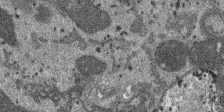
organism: Human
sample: Lung epithelial cells infected with SARS-CoV-2